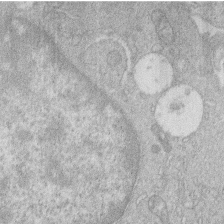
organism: Human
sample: Macrophage cells